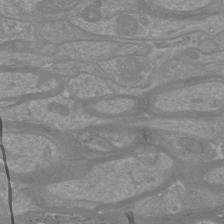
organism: Mouse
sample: Cortical neurons